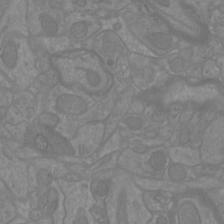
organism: Mouse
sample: Cortical neurons